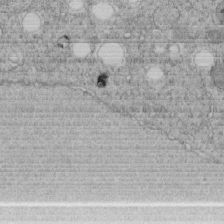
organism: C. elegans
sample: C. elegans embryo early stage